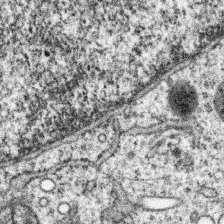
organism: Human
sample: HeLa cells